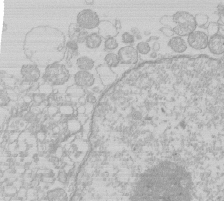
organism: Human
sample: Macrophage cells